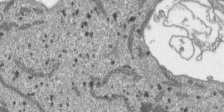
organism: Human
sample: Lung epithelial cells infected with SARS-CoV-2